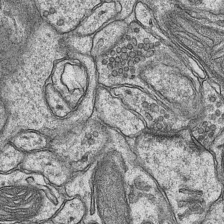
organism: Mouse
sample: CA1 Hippocampus